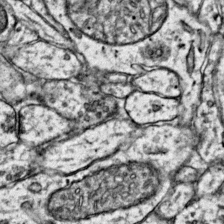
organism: Mouse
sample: Primary visual cortex